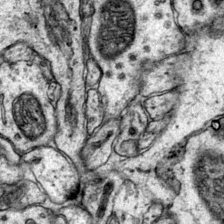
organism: Mouse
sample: Primary visual cortex